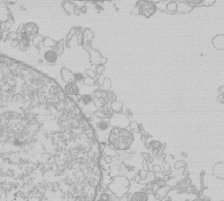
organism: Human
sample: Macrophage cells